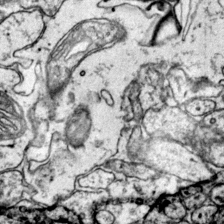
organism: Mouse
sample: Primary visual cortex